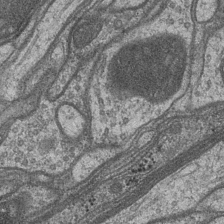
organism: Drosophila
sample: Optic medulla